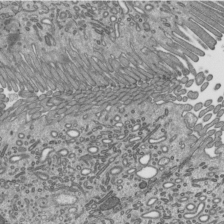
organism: Mouse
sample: Mouse epididymis efferent ductule cilia